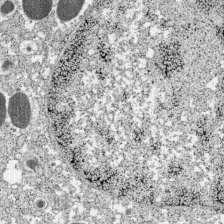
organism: C57BL Mouse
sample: Pancreatic islet